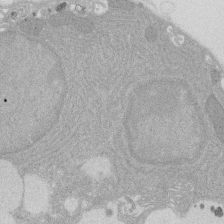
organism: Rat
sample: Salivary granule